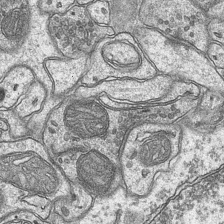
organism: Mouse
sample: CA1 Hippocampus